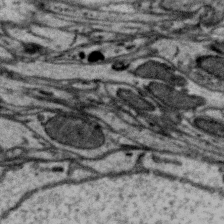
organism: Zebra finch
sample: Brain